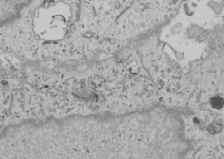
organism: Human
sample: Mitochondria in U2OS cells